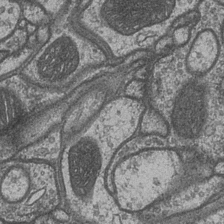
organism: Drosophila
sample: Optic medulla